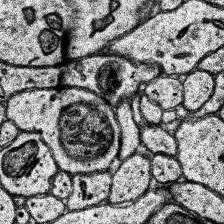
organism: Human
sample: Temporal Lobe